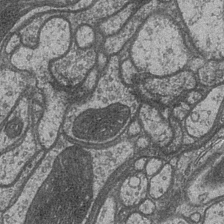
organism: Drosophila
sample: Optic medulla